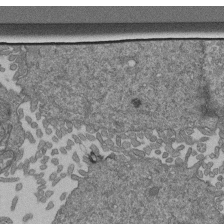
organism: Human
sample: Retinal organoid Rod and Cone cells